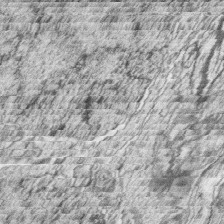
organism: Zebrafish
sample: synaptic ribbons in rod cells and cone cells